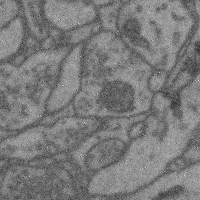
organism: Mouse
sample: Cerebral cortex